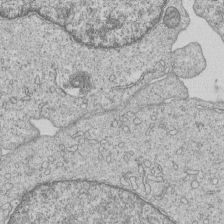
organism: Human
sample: MDA-MB-231 cells